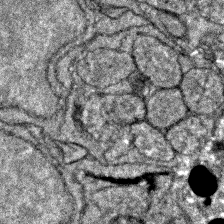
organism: Zebrafish